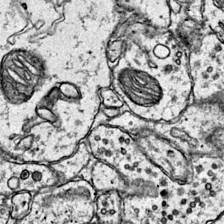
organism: Mouse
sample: Primary visual cortex